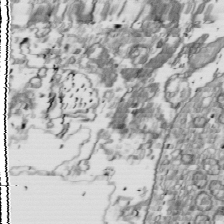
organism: Drosophila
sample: Cell division; meiosis; drosophila spermatocytes